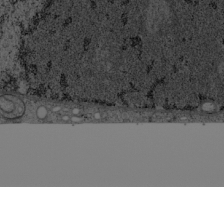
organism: African green monkey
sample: COS-7 cells